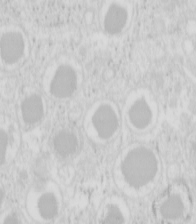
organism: Mouse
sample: Pancreas